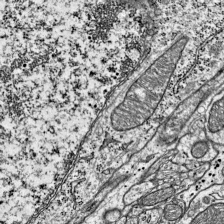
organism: Mouse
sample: Visual Cortex